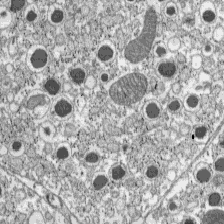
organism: C57BL Mouse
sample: Pancreatic islet